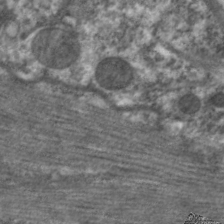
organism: C. elegans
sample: Pharynx